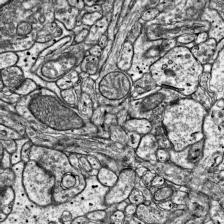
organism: Mouse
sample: Visual Cortex